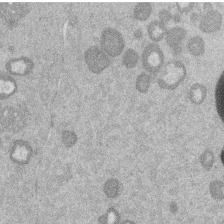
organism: Mouse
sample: Dividing mouse embryo 1 cell stage